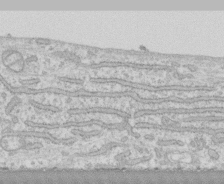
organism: Human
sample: CRL-1474